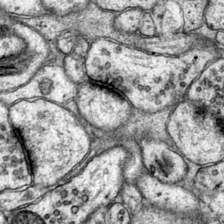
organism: Mouse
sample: Primary visual cortex